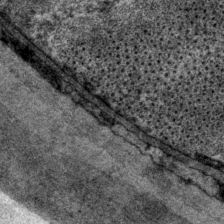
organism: P. pacificus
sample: Pharynx